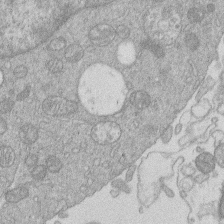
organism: Human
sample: Macrophage cells